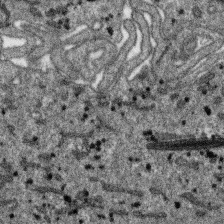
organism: Human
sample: Lung epithelial cells infected with SARS-CoV-2